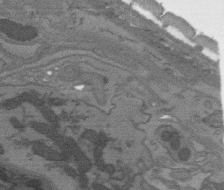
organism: C. elegans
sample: AFD neurons C. elegans